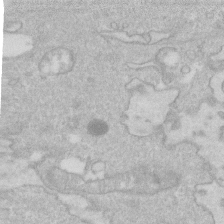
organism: Human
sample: Fibroblast cells